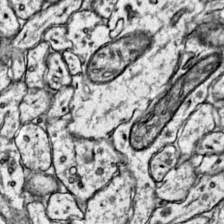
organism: Mouse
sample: Primary visual cortex